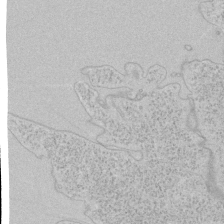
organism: Human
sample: Mitochondria in HCT116 cells